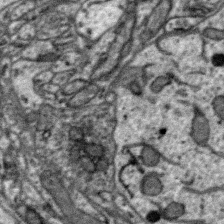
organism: Zebra finch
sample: Brain